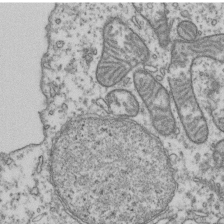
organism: Human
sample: Activated Jurkat CD4+ T cells